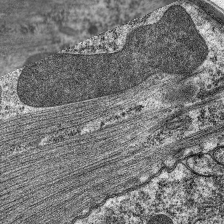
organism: C. elegans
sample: Pharynx